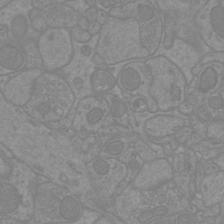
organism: Mouse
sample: Cortical neurons